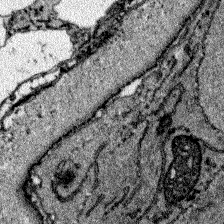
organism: Zebrafish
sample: Larval olfactory bulb